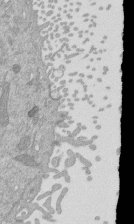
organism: Mouse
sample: ED-1 cell nuclei; centrioles